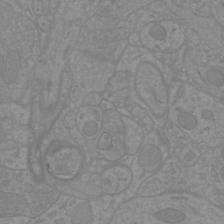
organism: Mouse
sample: Cortical neurons